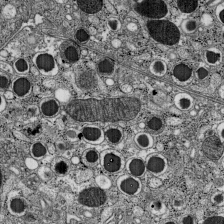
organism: C57BL Mouse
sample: Pancreatic islet